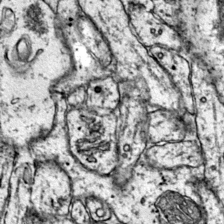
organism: Mouse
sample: Primary visual cortex